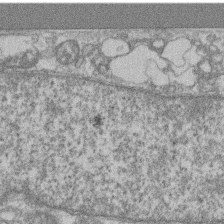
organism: Mouse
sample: T cell stromal cell synapse